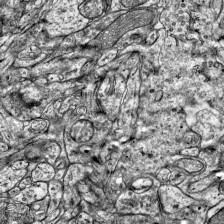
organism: Mouse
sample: Visual Cortex